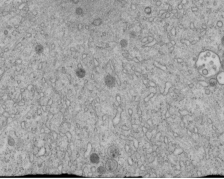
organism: C. elegans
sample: C. elegans embryo early stage